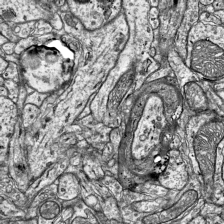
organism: Mouse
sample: Visual Cortex